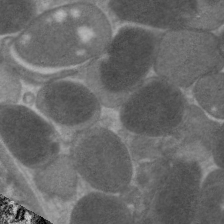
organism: C. elegans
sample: Pharynx